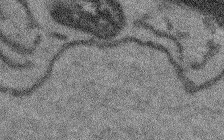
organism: Arabidopsis thaliana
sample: Root tip